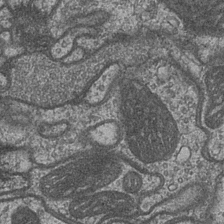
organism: Drosophila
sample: Optic medulla